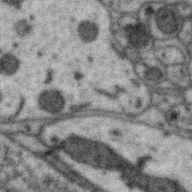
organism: Zebra finch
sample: Brain